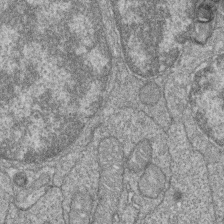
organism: Zebrafish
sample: Cilia; retinal pigment epithelium